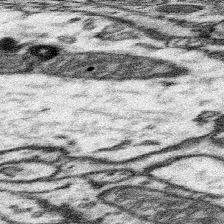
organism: Mouse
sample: Somatosensory cortex neuropil